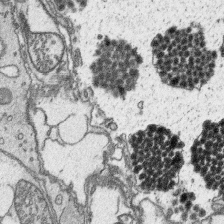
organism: Platynereis dumerilii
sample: Parapodia